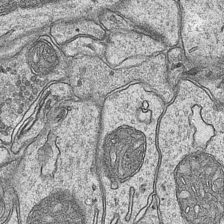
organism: Mouse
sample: CA1 Hippocampus